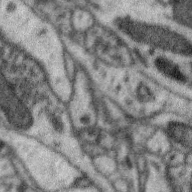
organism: Zebra finch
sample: Brain